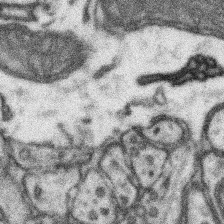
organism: Mouse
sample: Somatosensory cortex neuropil